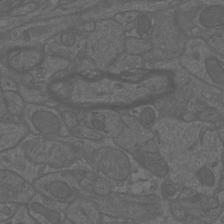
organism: Mouse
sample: Cortical neurons